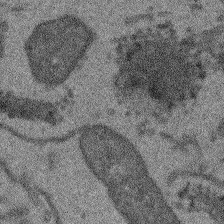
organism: Arabidopsis thaliana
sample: Root tip